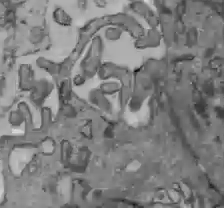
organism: C57BL Mouse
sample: Liver